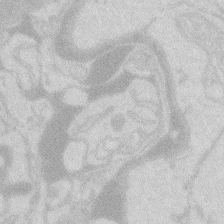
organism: Zebrafish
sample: Macrophage